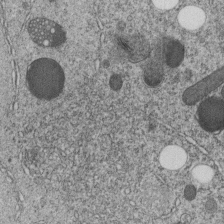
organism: C. elegans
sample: C. elegans embryo early stage